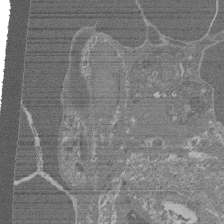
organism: Mouse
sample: Glomerulus